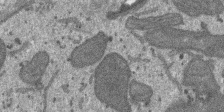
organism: Human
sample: Lung epithelial cells infected with SARS-CoV-2